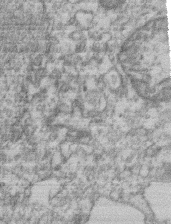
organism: Mouse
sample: T cell stromal cell synapse